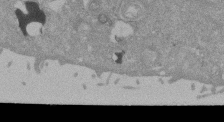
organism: Mouse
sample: ED-1 cell nuclei; centrioles